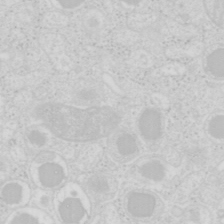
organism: Mouse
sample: Pancreas